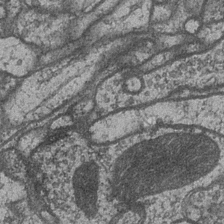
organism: Drosophila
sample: Optic medulla